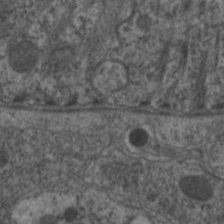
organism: C. elegans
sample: Pharynx